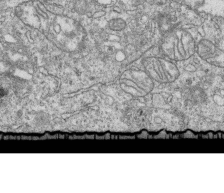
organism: Human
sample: HeLa cell HIV synapse